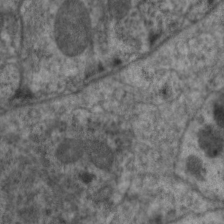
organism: C. elegans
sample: Pharynx